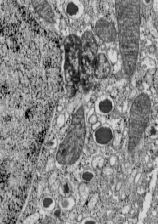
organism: C57BL Mouse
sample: Pancreatic islet